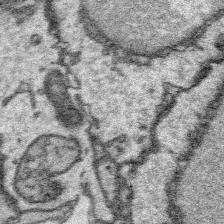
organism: Platynereis dumerilii